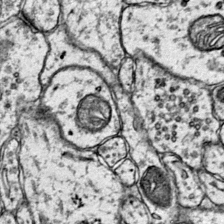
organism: Mouse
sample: Primary visual cortex